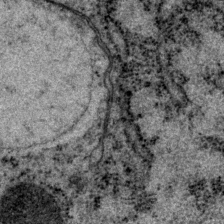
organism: P. pacificus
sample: Pharynx